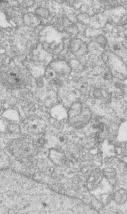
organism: Human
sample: HeLa cell HIV synapse